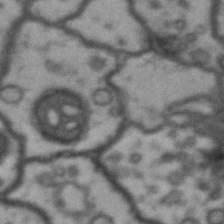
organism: Drosophila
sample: Brain